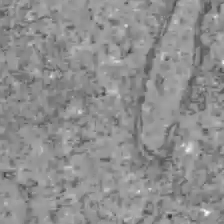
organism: C57BL Mouse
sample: Liver